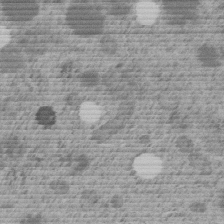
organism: C. elegans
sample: C. elegans embryo early stage